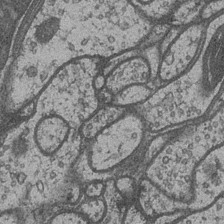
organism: Drosophila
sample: Optic medulla